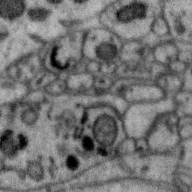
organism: Zebra finch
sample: Brain